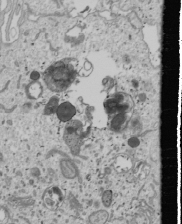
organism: Human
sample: Mitochondria in U2OS cells